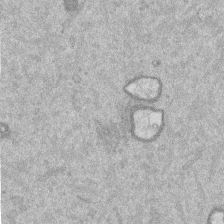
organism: Mouse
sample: Dividing mouse embryo 1 cell stage